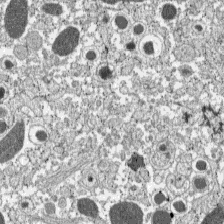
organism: C57BL Mouse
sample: Pancreatic islet